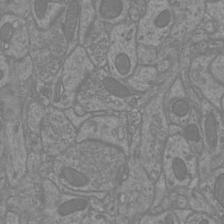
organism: Mouse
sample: Cortical neurons